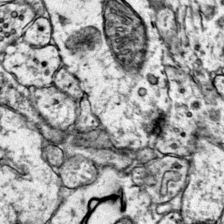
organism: Mouse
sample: Primary visual cortex